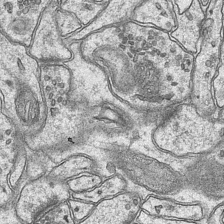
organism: Mouse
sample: CA1 Hippocampus